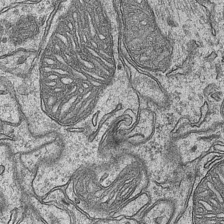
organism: Mouse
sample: CA1 Hippocampus